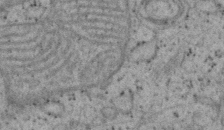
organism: Human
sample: HeLa cells